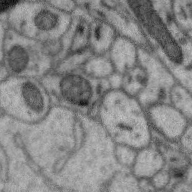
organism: Zebra finch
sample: Brain